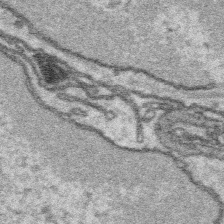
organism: Platynereis dumerilii